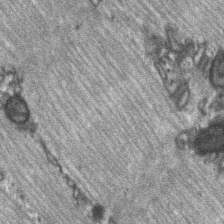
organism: C57BL Mouse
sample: Soleus